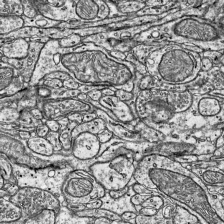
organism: Mouse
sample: Visual Cortex